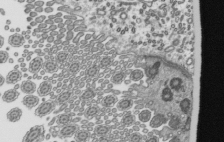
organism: Mouse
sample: Mouse epididymis efferent ductule cilia